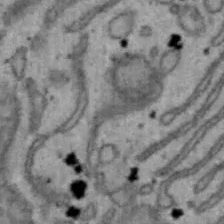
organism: Mouse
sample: Liver